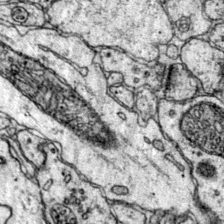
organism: Mouse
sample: Primary visual cortex